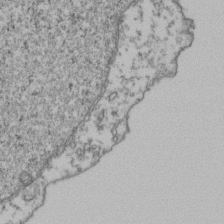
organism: Human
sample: Activated Jurkat CD4+ T cells